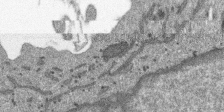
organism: Human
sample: Lung epithelial cells infected with SARS-CoV-2